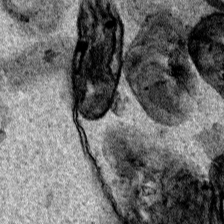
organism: Human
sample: Mitochondria in HCT116 cells